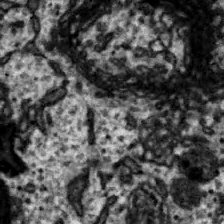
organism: Human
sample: HeLa cells